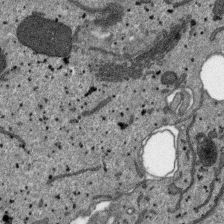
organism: Human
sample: Lung epithelial cells, uninfected (mock) control